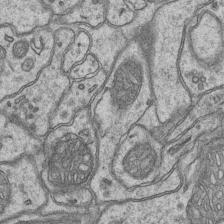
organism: Mouse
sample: CA1 Hippocampus